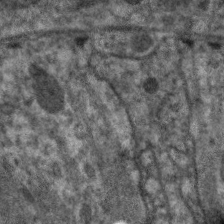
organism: C. elegans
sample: Pharynx